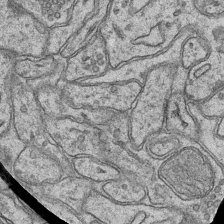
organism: Mouse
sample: CA1 Hippocampus